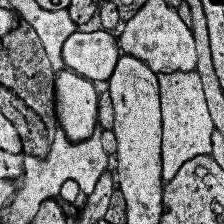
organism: Human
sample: Temporal Lobe